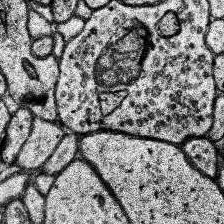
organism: Human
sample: Temporal Lobe